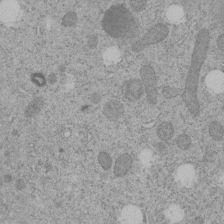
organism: C. elegans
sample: C. elegans embryo early stage